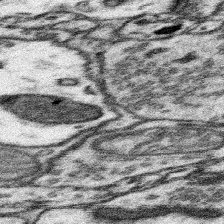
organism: Mouse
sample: Somatosensory cortex neuropil